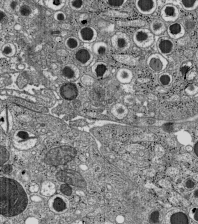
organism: C57BL Mouse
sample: Pancreatic islet